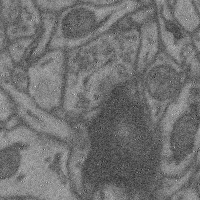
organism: Mouse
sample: Cerebral cortex